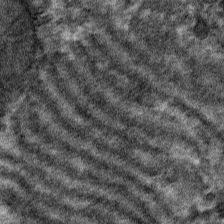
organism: Mouse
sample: Mouse hepatocytes